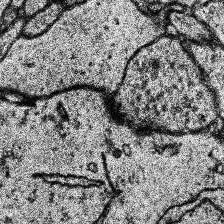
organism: Human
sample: Temporal Lobe